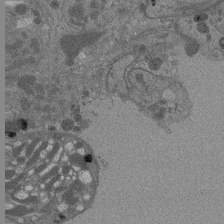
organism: Drosophila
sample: Antenna